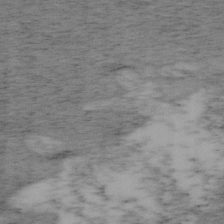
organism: Mouse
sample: OT-I killer T cells with ID8 ovarian cancer cells